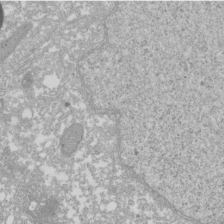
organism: Xenopus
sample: Cilia; centrioles in frog embryo cells